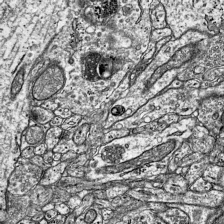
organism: Mouse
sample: Visual Cortex